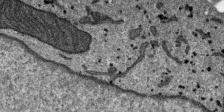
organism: Human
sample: Lung epithelial cells, uninfected (mock) control